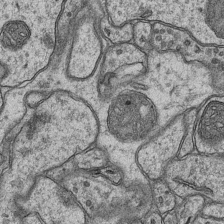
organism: Mouse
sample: CA1 Hippocampus